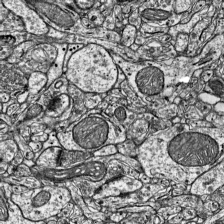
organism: Mouse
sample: Visual Cortex